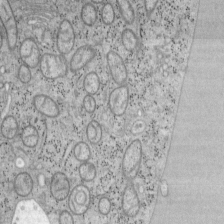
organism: Mouse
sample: OT-I killer T cells with ID8 ovarian cancer cells